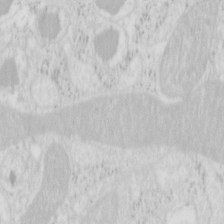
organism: Mouse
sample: Pancreas